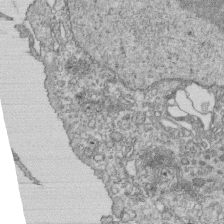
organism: Human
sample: HeLa cell HIV synapse